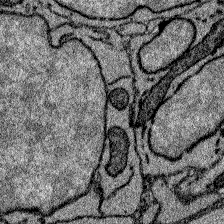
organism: Zebrafish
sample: Larval olfactory bulb